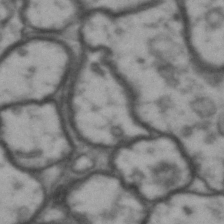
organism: Drosophila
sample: Brain